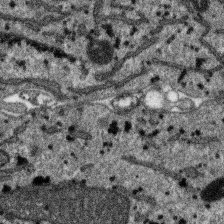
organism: Human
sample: Lung epithelial cells infected with SARS-CoV-2